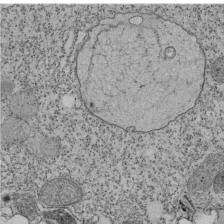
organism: Tetrahymena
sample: Cilia in tetrahymena